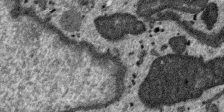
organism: Human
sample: Lung epithelial cells, uninfected (mock) control